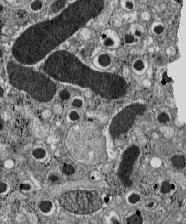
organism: C57BL Mouse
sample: Pancreatic islet